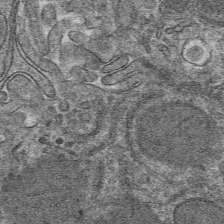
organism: Mouse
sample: Mouse hepatocytes